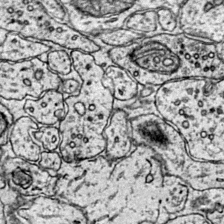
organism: Mouse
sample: Primary visual cortex